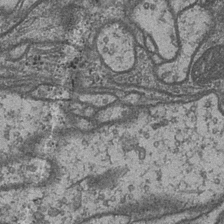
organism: Drosophila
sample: Optic medulla